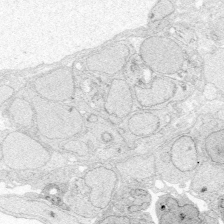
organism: Zebrafish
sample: Whole-Brain